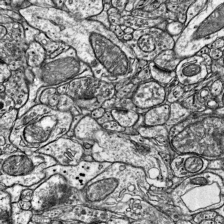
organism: Mouse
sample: Visual Cortex